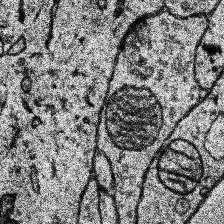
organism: Human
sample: Temporal Lobe